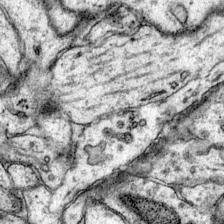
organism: Mouse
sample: Primary visual cortex